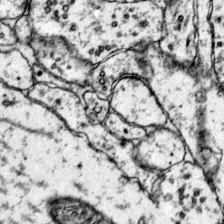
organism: Mouse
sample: Primary visual cortex